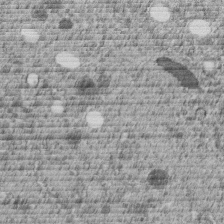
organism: C. elegans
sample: C. elegans embryo early stage